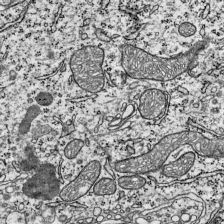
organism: Mouse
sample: Visual Cortex